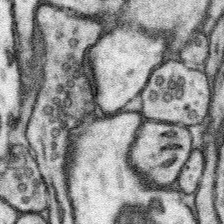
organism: Mouse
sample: Somatosensory cortex neuropil